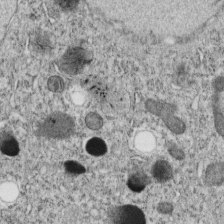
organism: C. elegans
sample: C. elegans embryo early stage